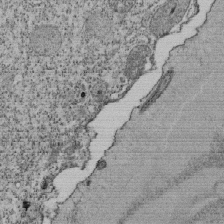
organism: Tetrahymena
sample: Cilia in tetrahymena